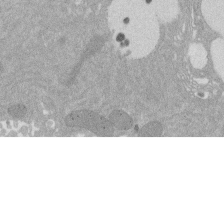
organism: Rat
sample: Salivary granule